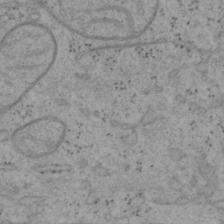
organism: Human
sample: HeLa cells